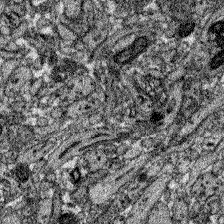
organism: Zebrafish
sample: Larval olfactory bulb